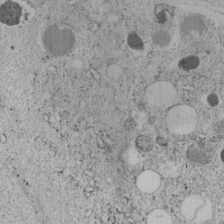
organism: C. elegans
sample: C. elegans embryo early stage